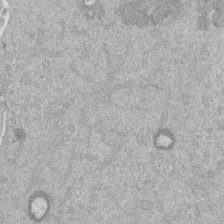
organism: Mouse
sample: Dividing mouse embryo 1 cell stage